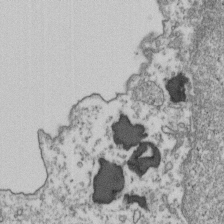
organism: Human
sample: Activated Jurkat CD4+ T cells